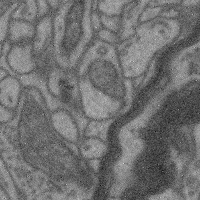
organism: Mouse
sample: Cerebral cortex